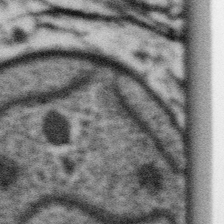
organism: Gemmata obscuriglobus